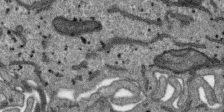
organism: Human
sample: Lung epithelial cells, uninfected (mock) control